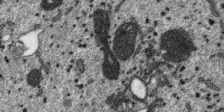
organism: Human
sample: Lung epithelial cells infected with SARS-CoV-2